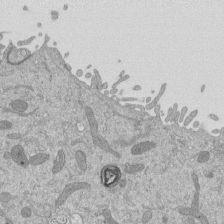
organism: Mouse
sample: ED-1 cell nuclei; centrioles